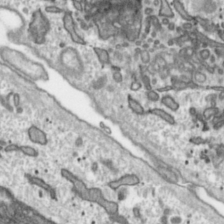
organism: Toxoplasma gondii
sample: Parasites in a vacuole inside a host cell